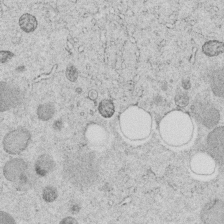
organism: C. elegans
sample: C. elegans embryo early stage